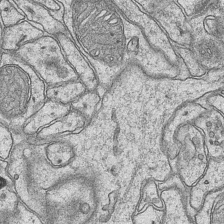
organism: Mouse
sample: CA1 Hippocampus